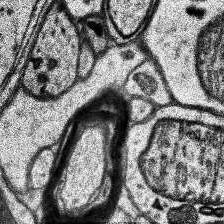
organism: Human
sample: Temporal Lobe